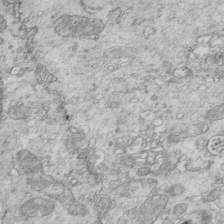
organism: Mouse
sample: Multiciliated cells